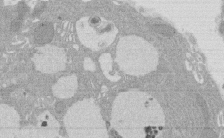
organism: Rat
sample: Salivary granule